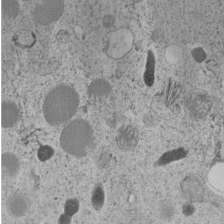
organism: C. elegans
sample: C. elegans embryo early stage